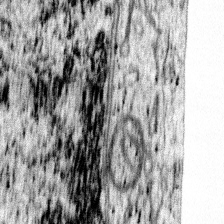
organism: Human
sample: HeLa cells